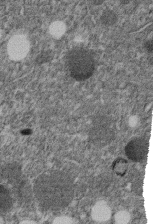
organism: C. elegans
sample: C. elegans embryo early stage